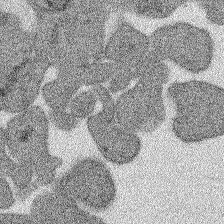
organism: Human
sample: HeLa cells